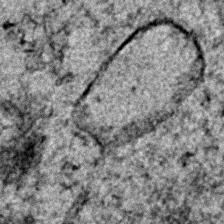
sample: Trachea